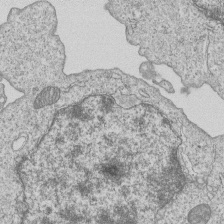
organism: Human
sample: MDA-MB-231 cells